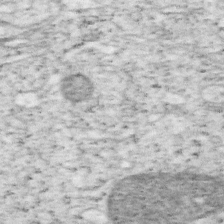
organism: Mouse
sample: OT-I killer T cells with ID8 ovarian cancer cells